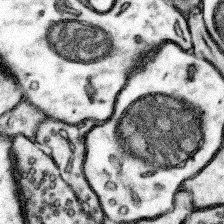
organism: Mouse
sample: Somatosensory cortex neuropil